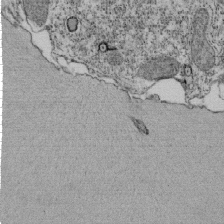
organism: Tetrahymena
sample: Cilia in tetrahymena